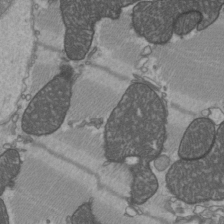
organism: C57BL Mouse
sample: Heart